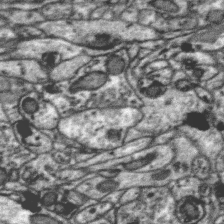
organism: Zebra finch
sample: Brain